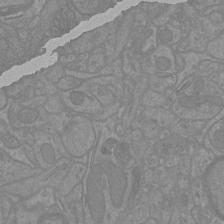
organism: Mouse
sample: Cortical neurons